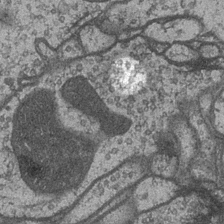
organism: Drosophila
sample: Optic medulla